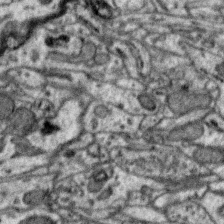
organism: Zebra finch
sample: Brain